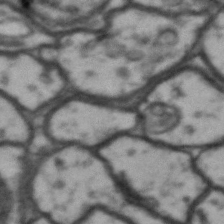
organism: Drosophila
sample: Brain